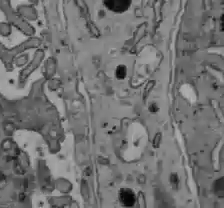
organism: C57BL Mouse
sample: Liver